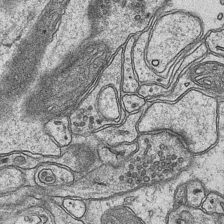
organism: Mouse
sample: CA1 Hippocampus